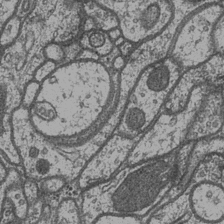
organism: Drosophila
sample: Optic medulla